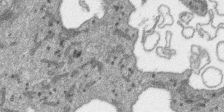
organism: Human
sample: Lung epithelial cells infected with SARS-CoV-2